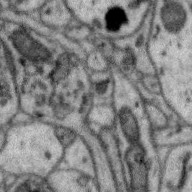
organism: Zebra finch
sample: Brain